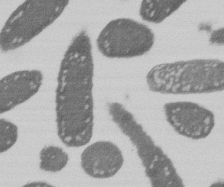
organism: E. coli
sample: Bacterial nucleoid